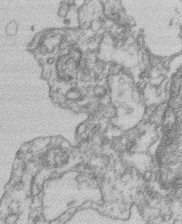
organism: Mouse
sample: T cell stromal cell synapse